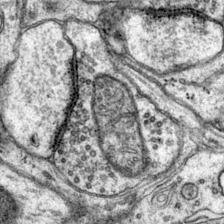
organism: Mouse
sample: Primary visual cortex